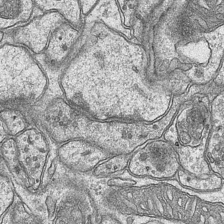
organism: Mouse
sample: CA1 Hippocampus